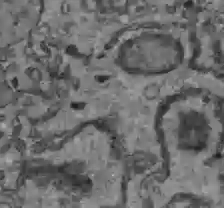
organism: C57BL Mouse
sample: Liver